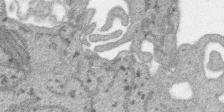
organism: Human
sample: Lung epithelial cells infected with SARS-CoV-2